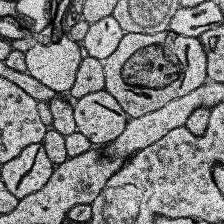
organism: Human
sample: Temporal Lobe